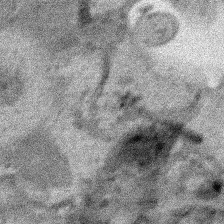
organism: Human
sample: Mitochondria in HCT116 cells